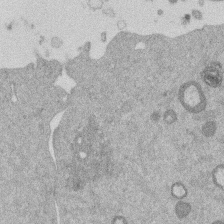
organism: Mouse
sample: Dividing mouse embryo 1 cell stage